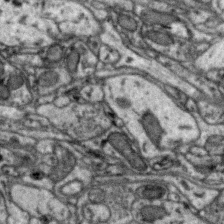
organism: Zebra finch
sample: Brain